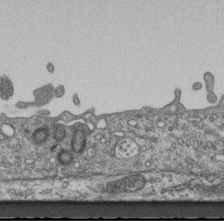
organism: Mouse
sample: Centriole in ependymal cells